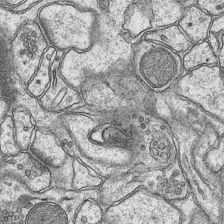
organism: Mouse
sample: CA1 Hippocampus